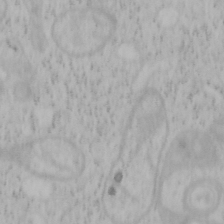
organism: Mouse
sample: OT-I killer T cells with ID8 ovarian cancer cells